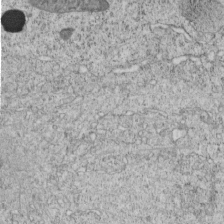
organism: C. elegans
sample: C. elegans embryo early stage